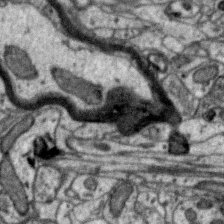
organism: Zebra finch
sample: Brain